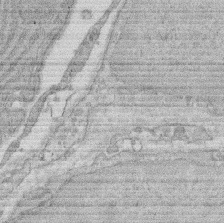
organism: Rat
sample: Salivary granule